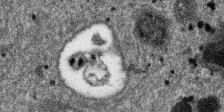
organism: Human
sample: Lung epithelial cells infected with SARS-CoV-2